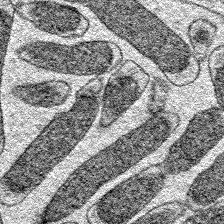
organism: E. coli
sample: E. Coli Bacteria